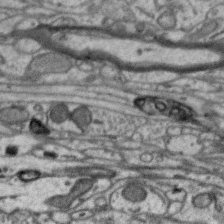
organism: Zebra finch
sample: Brain